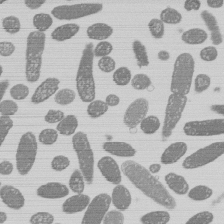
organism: E. coli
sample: Bacterial nucleoid